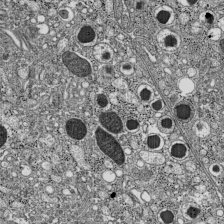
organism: C57BL Mouse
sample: Pancreatic islet